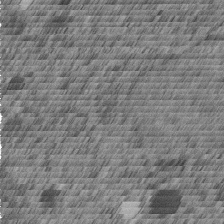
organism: C. elegans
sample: C. elegans embryo early stage